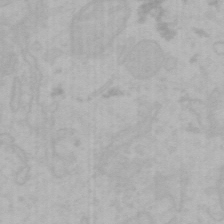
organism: Mouse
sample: Choroid plexus